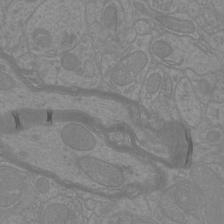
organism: Mouse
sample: Cortical neurons